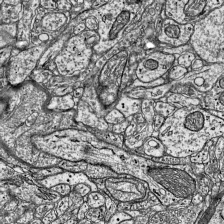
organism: Mouse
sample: Visual Cortex